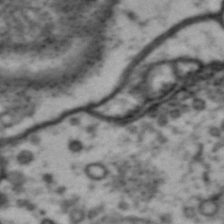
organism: Drosophila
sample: Brain